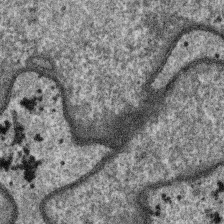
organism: Human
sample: Lung epithelial cells infected with SARS-CoV-2